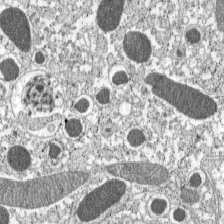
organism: C57BL Mouse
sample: Pancreatic islet